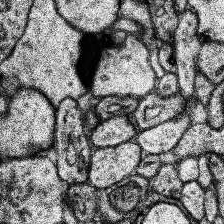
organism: Human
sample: Temporal Lobe